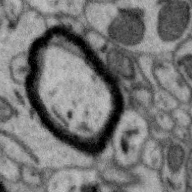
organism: Zebra finch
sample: Brain